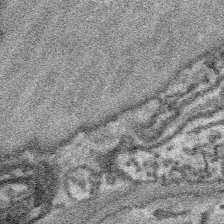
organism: Platynereis dumerilii